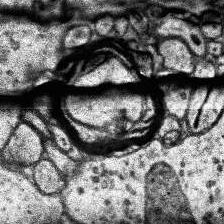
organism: Human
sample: Temporal Lobe